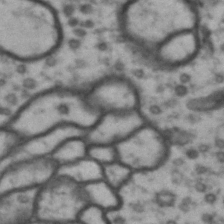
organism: Drosophila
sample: Brain